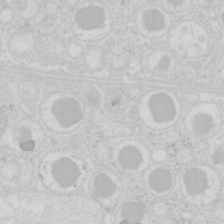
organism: Mouse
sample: Pancreas